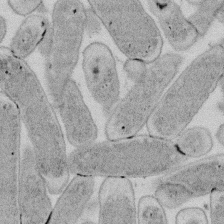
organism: E. coli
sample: Bacterial nucleoid